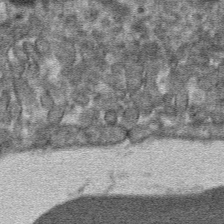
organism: Mouse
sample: Mouse hepatocytes